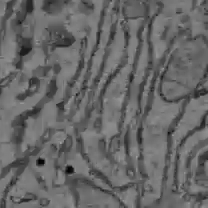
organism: C57BL Mouse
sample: Liver